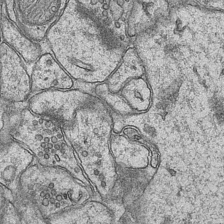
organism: Mouse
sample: CA1 Hippocampus